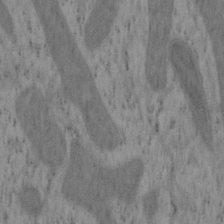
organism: Mouse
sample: OT-I killer T cells with ID8 ovarian cancer cells